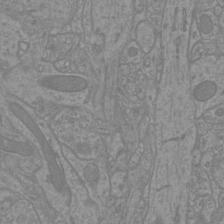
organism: Mouse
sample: Cortical neurons